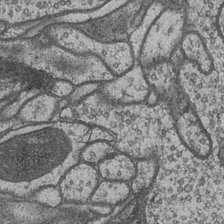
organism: Drosophila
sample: Optic medulla